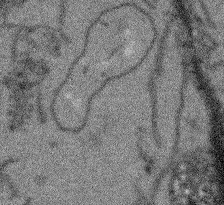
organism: Arabidopsis thaliana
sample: Root tip